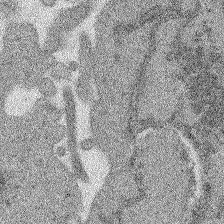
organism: Human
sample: HeLa cells